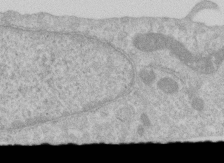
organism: Human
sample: Centriole in RPE cells